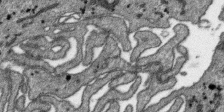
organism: Human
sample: Lung epithelial cells, uninfected (mock) control